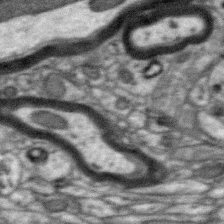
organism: Zebra finch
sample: Brain